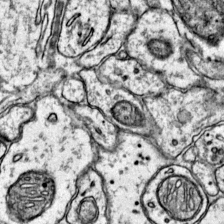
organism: Mouse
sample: Primary visual cortex